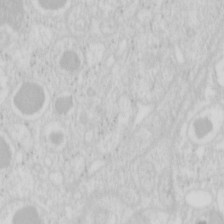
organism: Mouse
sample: Pancreas